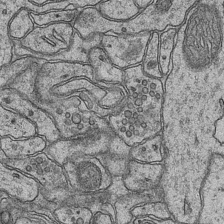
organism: Mouse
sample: CA1 Hippocampus